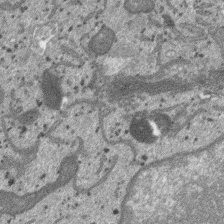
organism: Human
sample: Lung epithelial cells infected with SARS-CoV-2